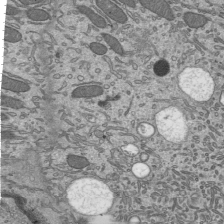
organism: Mouse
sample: Mouse epididymis efferent ductule cilia